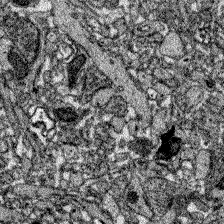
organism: Zebrafish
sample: Larval olfactory bulb